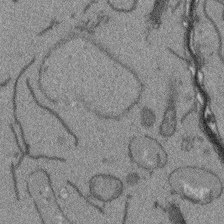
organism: Arabidopsis thaliana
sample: Root tip